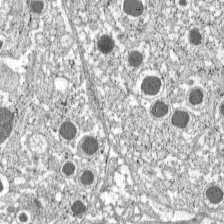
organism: C57BL Mouse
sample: Pancreatic islet